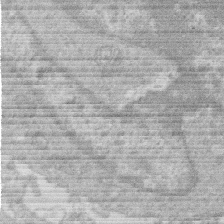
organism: Human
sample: Macrophage cells